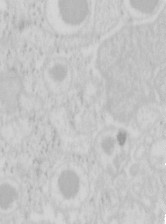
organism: Mouse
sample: Pancreas